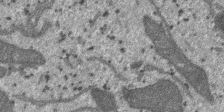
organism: Human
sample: Lung epithelial cells infected with SARS-CoV-2